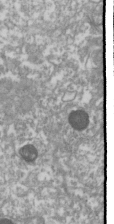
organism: Drosophila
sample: Cell division; meiosis; drosophila spermatocytes